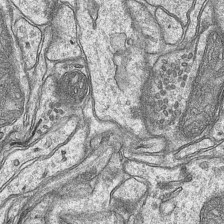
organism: Mouse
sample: CA1 Hippocampus